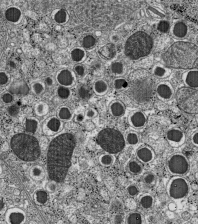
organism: C57BL Mouse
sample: Pancreatic islet